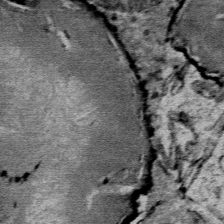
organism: Mouse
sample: Mouse Salivary gland